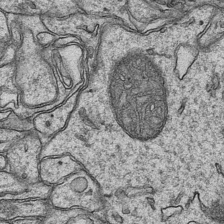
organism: Mouse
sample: CA1 Hippocampus